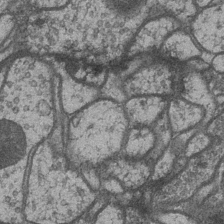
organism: Drosophila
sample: Optic medulla